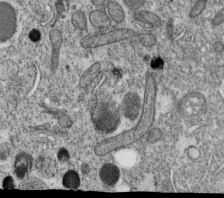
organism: C. elegans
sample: C. elegans oocyte; sperm cells